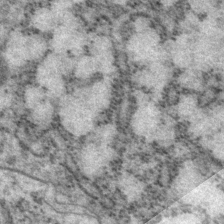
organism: P. pacificus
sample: Pharynx